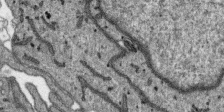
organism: Human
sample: Lung epithelial cells, uninfected (mock) control